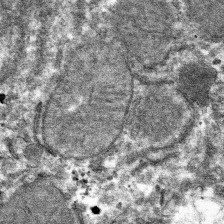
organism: Mouse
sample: Mouse hepatocytes